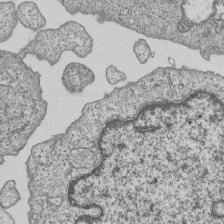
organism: Human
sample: MDA-MB-231 cells